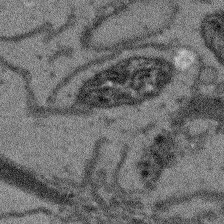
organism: Arabidopsis thaliana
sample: Root tip